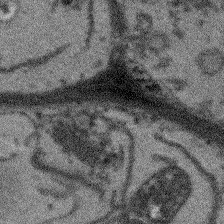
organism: Arabidopsis thaliana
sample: Root tip